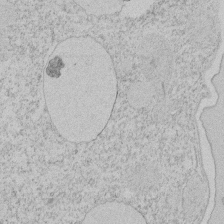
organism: Tetrahymena